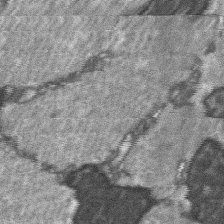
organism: C57BL Mouse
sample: Soleus